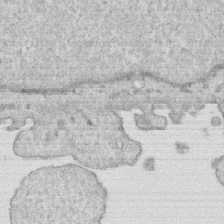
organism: Human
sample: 1205lu cells